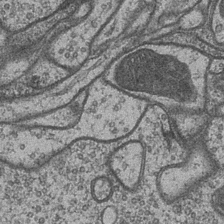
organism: Drosophila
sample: Optic medulla